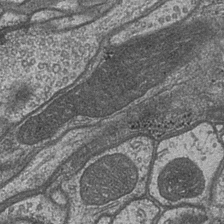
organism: Drosophila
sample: Optic medulla